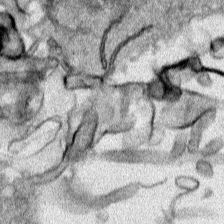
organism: Human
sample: Mitochondria in HCT116 cells